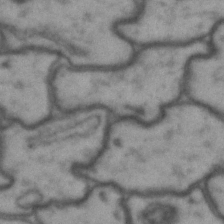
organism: Drosophila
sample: Brain